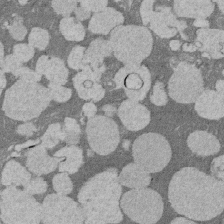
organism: Rat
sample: Salivary granule